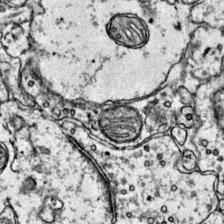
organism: Mouse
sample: Primary visual cortex